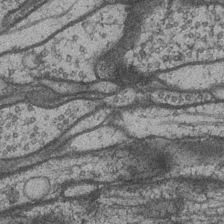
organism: Drosophila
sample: Optic medulla